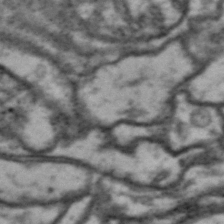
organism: Drosophila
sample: Brain